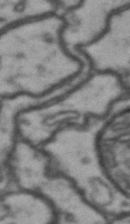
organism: Drosophila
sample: Brain